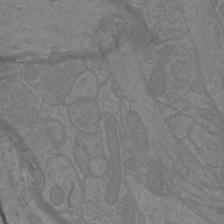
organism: Mouse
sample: Cortical neurons